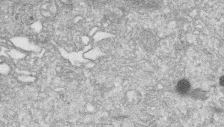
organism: Human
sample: HeLa cell HIV synapse